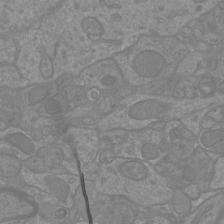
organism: Mouse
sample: Cortical neurons